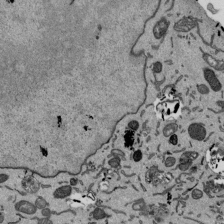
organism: Mouse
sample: ED-1 cell nuclei; centrioles